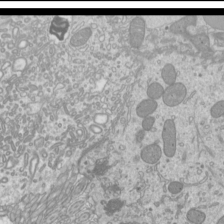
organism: Mouse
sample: Cilia; mouse epididymis